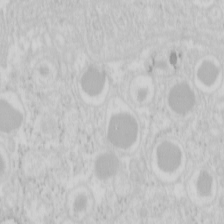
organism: Mouse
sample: Pancreas